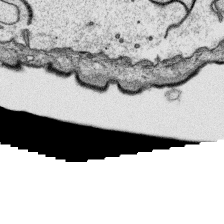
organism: Platynereis dumerilii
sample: Parapodia